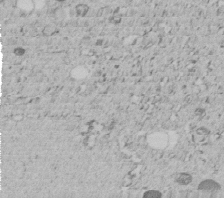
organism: C. elegans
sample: C. elegans embryo early stage